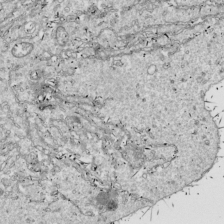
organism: Drosophila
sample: Cell division; meiosis; drosophila spermatocytes